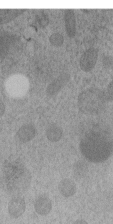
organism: C. elegans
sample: C. elegans embryo early stage